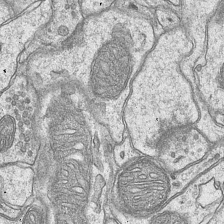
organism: Mouse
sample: CA1 Hippocampus